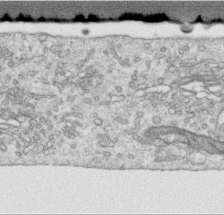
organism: Human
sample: Centriole in RPE cells